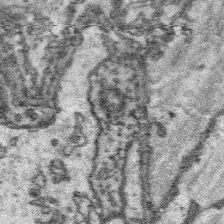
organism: Platynereis dumerilii